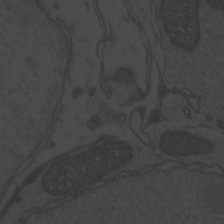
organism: Zebrafish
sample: Macrophage infected with Toxoplasma gondii